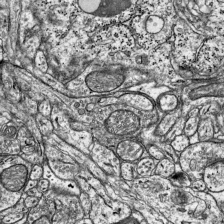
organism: Mouse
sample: Visual Cortex